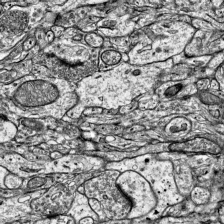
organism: Mouse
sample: Visual Cortex